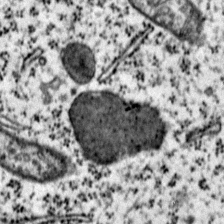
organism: Mouse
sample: Primary visual cortex